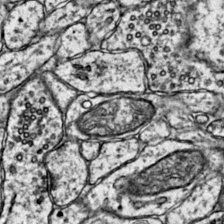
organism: Mouse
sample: Primary visual cortex